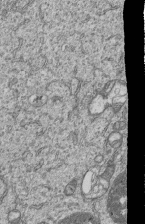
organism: Human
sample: MDA-MB-231 cells